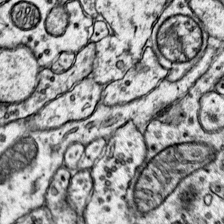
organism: Mouse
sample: Primary visual cortex